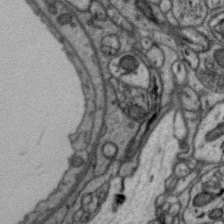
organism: Zebra finch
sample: Brain